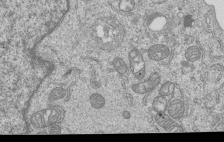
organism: Human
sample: MDA-MB-231 cells